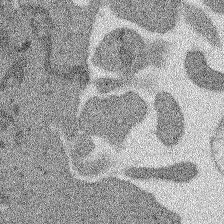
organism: Human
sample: HeLa cells